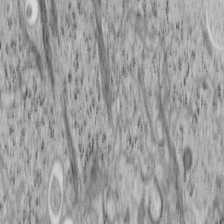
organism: Human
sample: HeLa cells